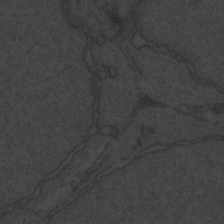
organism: Zebrafish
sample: Macrophage infected with Toxoplasma gondii